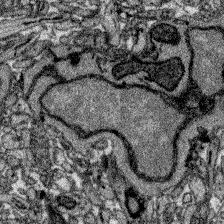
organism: Zebrafish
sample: Larval olfactory bulb